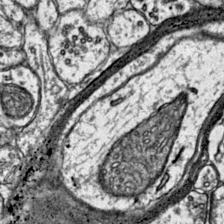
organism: Mouse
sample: Primary visual cortex